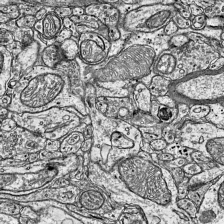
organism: Mouse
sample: Visual Cortex